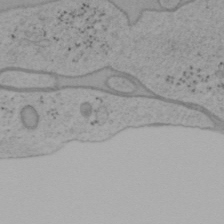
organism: Human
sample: HeLa cells